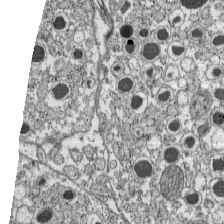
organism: C57BL Mouse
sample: Pancreatic islet